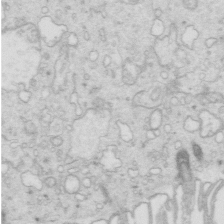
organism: Mouse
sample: Multiciliated cells